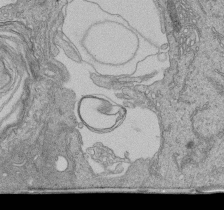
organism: Human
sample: Retinal organoid Rod and Cone cells